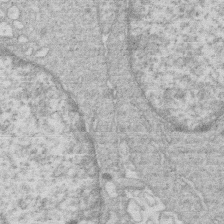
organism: Human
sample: Macrophage cells